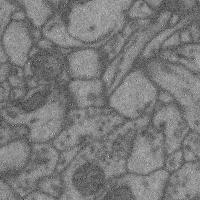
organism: Mouse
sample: Cerebral cortex